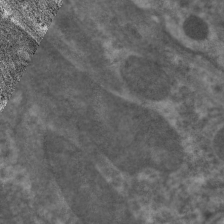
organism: C. elegans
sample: Pharynx